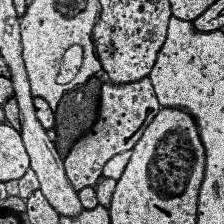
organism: Human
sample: Temporal Lobe